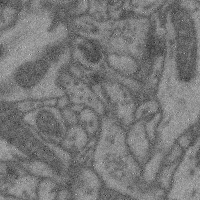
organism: Mouse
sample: Cerebral cortex